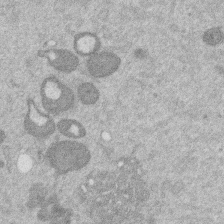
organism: Mouse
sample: Dividing mouse embryo 1 cell stage